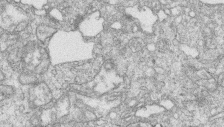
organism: Human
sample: HeLa cell HIV synapse